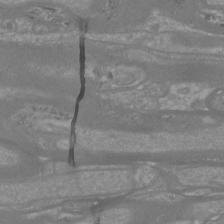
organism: Mouse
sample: Cortical neurons